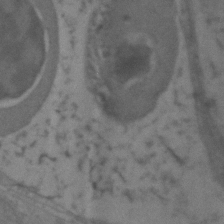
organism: Zebrafish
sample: Zebrafish embryo